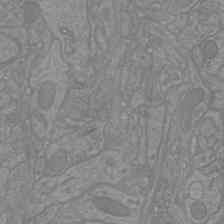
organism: Mouse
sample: Cortical neurons